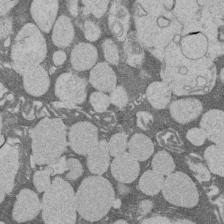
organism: Rat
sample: Salivary granule